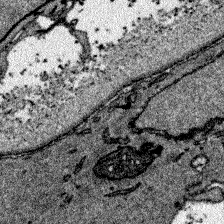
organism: Zebrafish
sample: Larval olfactory bulb